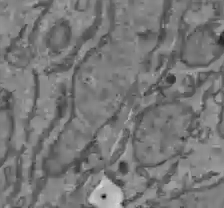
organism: C57BL Mouse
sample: Liver